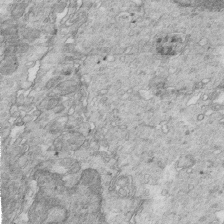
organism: Mouse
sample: Multiciliated cells